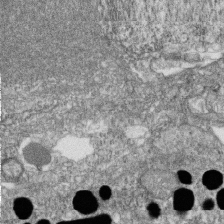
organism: Zebrafish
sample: Cilia; retinal pigment epithelium